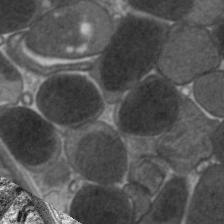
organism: C. elegans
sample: Pharynx